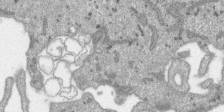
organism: Human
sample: Lung epithelial cells infected with SARS-CoV-2